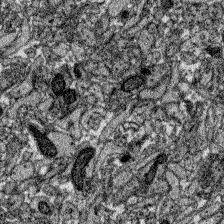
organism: Zebrafish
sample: Larval olfactory bulb